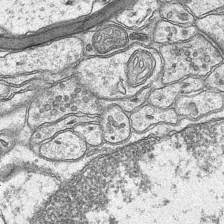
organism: Mouse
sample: CA1 Hippocampus